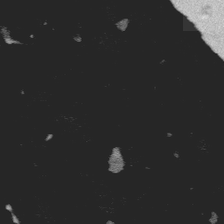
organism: Platynereis dumerilii